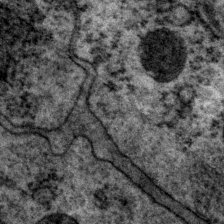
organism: P. pacificus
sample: Pharynx